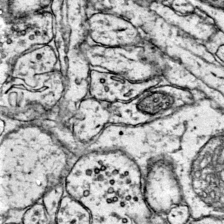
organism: Mouse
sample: Primary visual cortex